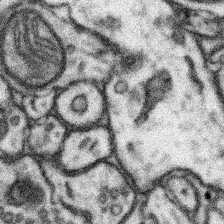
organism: Mouse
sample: Somatosensory cortex neuropil